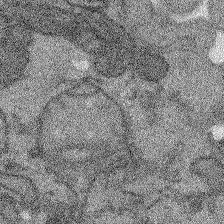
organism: Human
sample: HeLa cells